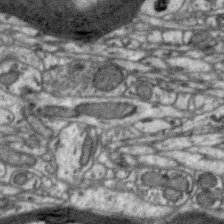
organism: Zebra finch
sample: Brain